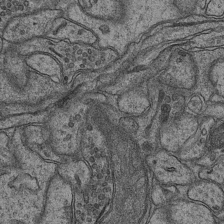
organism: Mouse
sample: CA1 Hippocampus